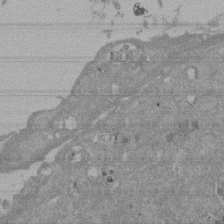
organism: Mouse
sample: ED-1 cell nuclei; centrioles